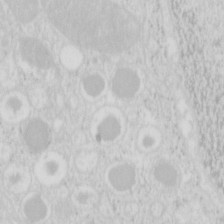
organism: Mouse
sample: Pancreas